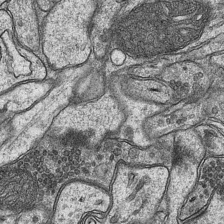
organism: Mouse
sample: CA1 Hippocampus